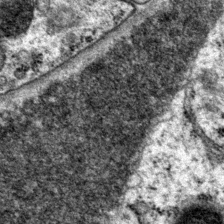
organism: P. pacificus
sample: Pharynx